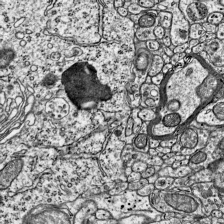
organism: Mouse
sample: Visual Cortex